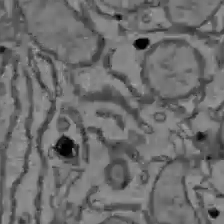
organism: C57BL Mouse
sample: Liver